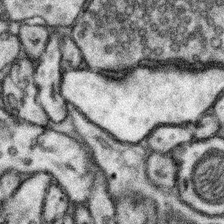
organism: Mouse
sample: Somatosensory cortex neuropil